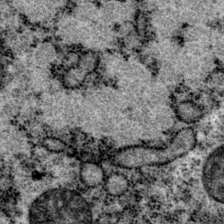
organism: P. pacificus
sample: Pharynx